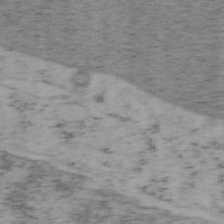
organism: Mouse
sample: OT-I killer T cells with ID8 ovarian cancer cells